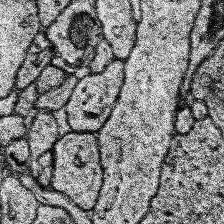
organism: Human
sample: Temporal Lobe